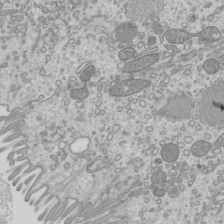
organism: Mouse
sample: Cilia; mouse epididymis